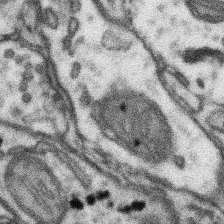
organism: Mouse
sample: Somatosensory cortex neuropil